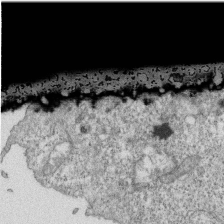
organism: Human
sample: HeLa cell HIV synapse